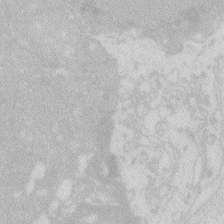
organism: Zebrafish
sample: Macrophage